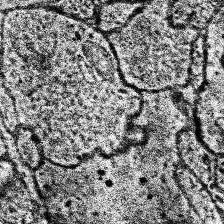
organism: Human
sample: Temporal Lobe